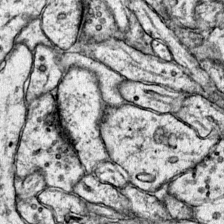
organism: Mouse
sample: Primary visual cortex